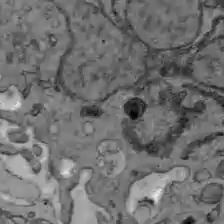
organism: C57BL Mouse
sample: Liver